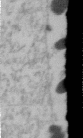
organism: Human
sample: U2-OS cells